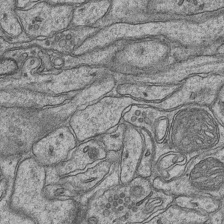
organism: Mouse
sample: CA1 Hippocampus